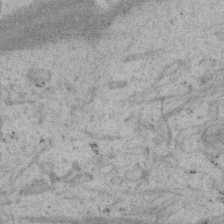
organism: Human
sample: HeLa cells